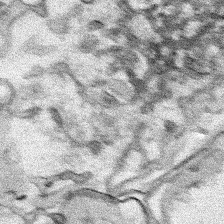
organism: Human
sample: Mitochondria in HCT116 cells